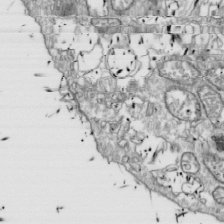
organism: Drosophila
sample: Cell division; meiosis; drosophila spermatocytes